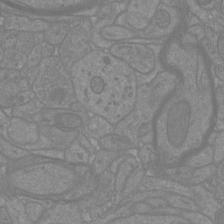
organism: Mouse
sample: Cortical neurons